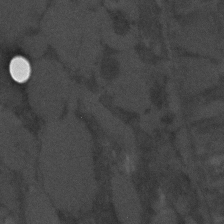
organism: C. elegans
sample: C. elegans embryo